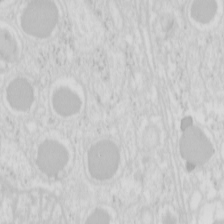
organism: Mouse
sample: Pancreas